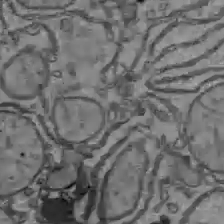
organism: C57BL Mouse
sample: Liver